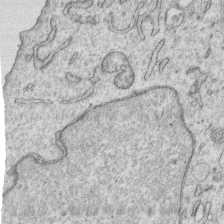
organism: Human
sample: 1205lu cells